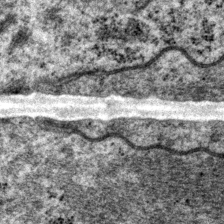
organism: P. pacificus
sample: Pharynx